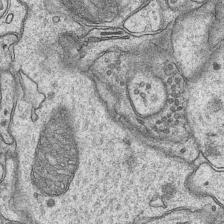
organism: Mouse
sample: CA1 Hippocampus